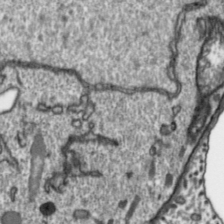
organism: Toxoplasma gondii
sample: Parasites in a vacuole inside a host cell